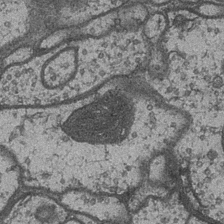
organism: Drosophila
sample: Optic medulla